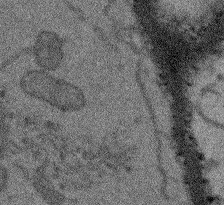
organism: Arabidopsis thaliana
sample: Root tip